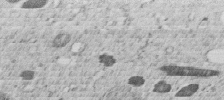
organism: C. elegans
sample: C. elegans embryo early stage